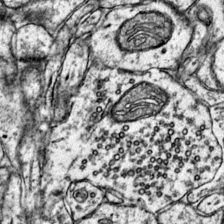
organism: Mouse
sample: Primary visual cortex